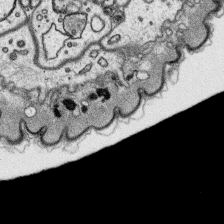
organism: Platynereis dumerilii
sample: Parapodia